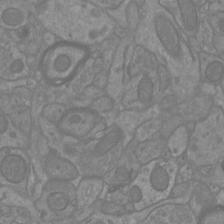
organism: Mouse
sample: Cortical neurons